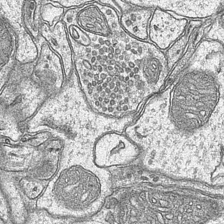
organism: Mouse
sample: CA1 Hippocampus